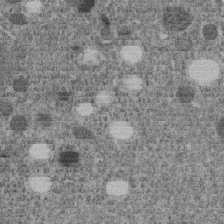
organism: C. elegans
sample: C. elegans embryo early stage